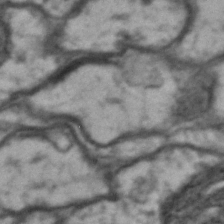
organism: Drosophila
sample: Brain